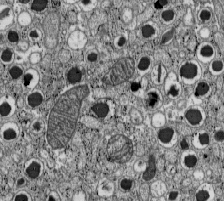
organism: C57BL Mouse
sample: Pancreatic islet